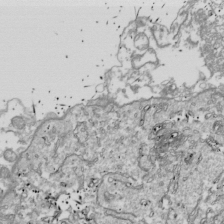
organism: Drosophila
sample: Cell division; meiosis; drosophila spermatocytes